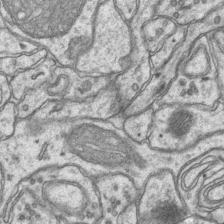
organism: Mouse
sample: CA1 Hippocampus